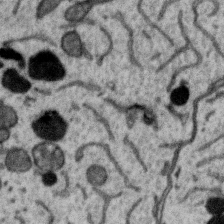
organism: Zebra finch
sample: Brain